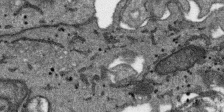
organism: Human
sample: Lung epithelial cells, uninfected (mock) control